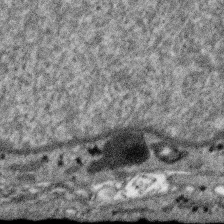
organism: Human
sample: Lung epithelial cells infected with SARS-CoV-2